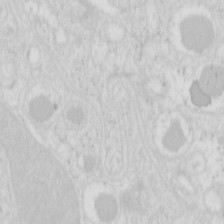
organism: Mouse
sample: Pancreas